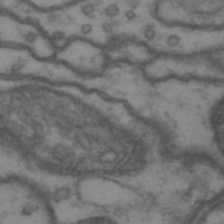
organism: Drosophila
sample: Brain